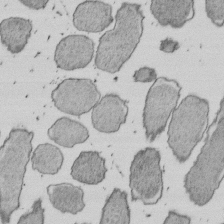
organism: E. coli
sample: Bacterial nucleoid